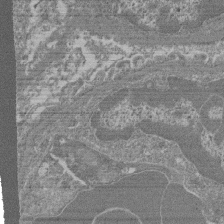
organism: Mouse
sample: Glomerulus